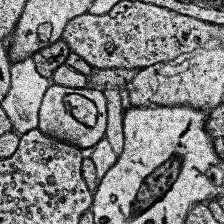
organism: Human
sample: Temporal Lobe